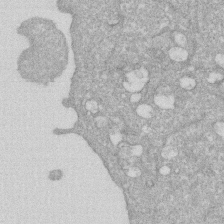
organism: Human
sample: HIV infected U937 cells